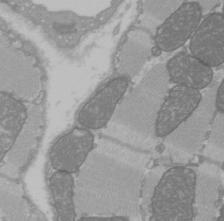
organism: C57BL Mouse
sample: Heart